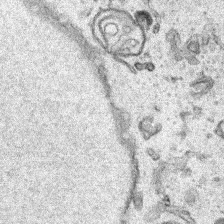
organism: Human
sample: Mitochondria in HCT116 cells